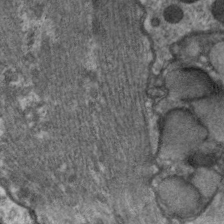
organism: C. elegans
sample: Pharynx